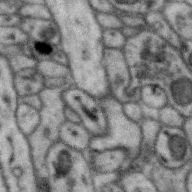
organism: Zebra finch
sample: Brain